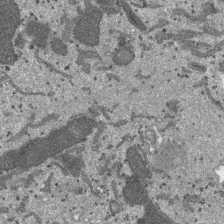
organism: Human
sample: Lung epithelial cells infected with SARS-CoV-2